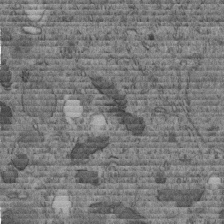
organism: C. elegans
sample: C. elegans embryo early stage